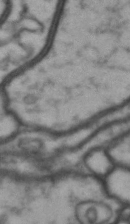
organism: Drosophila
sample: Brain